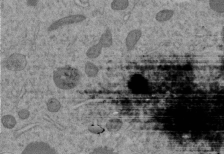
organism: C. elegans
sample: C. elegans embryo early stage